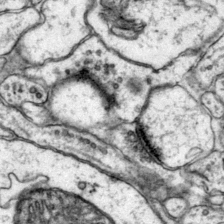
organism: Mouse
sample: Primary visual cortex